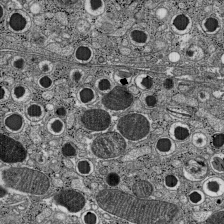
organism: C57BL Mouse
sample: Pancreatic islet